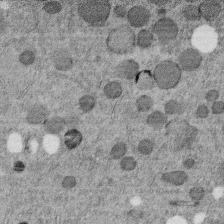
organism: C. elegans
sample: C. elegans embryo early stage